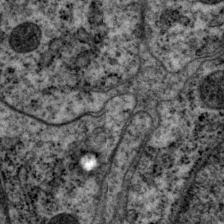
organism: P. pacificus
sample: Pharynx